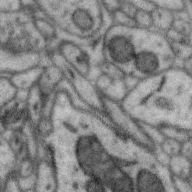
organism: Zebra finch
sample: Brain